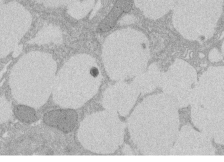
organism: Rat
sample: Salivary granule